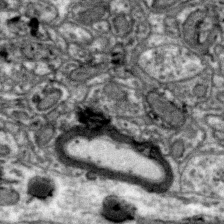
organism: Zebra finch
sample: Brain